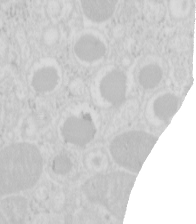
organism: Mouse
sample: Pancreas